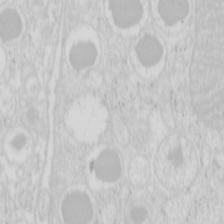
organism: Mouse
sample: Pancreas